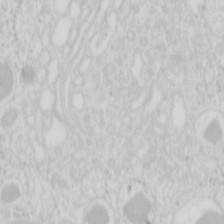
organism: Mouse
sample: Pancreas